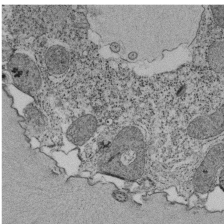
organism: Tetrahymena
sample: Cilia in tetrahymena